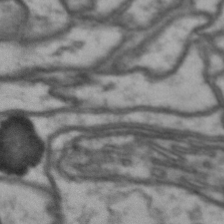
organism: Drosophila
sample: Brain